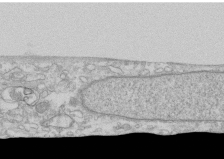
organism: Human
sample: CRL-1474